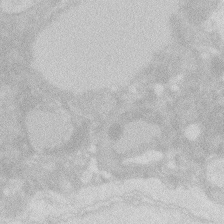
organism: Zebrafish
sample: Macrophage